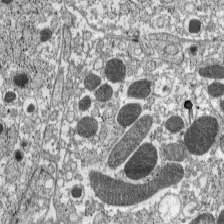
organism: C57BL Mouse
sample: Pancreatic islet